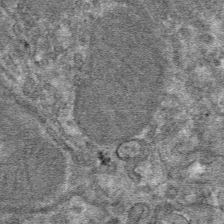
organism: Mouse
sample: Mouse hepatocytes